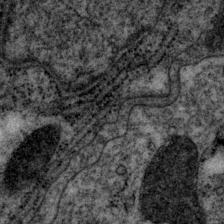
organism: P. pacificus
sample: Pharynx